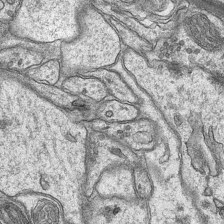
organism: Mouse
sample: CA1 Hippocampus